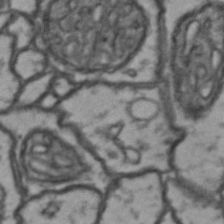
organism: Drosophila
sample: Brain